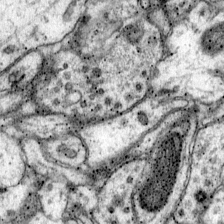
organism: Mouse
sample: Primary visual cortex